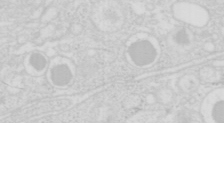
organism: Mouse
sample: Pancreas